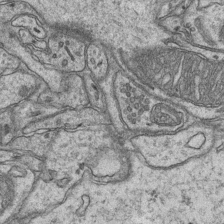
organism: Mouse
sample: CA1 Hippocampus